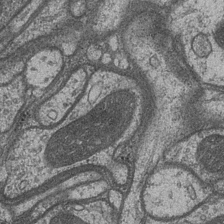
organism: Drosophila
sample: Optic medulla